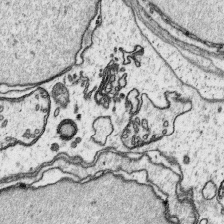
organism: Platynereis dumerilii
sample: Parapodia